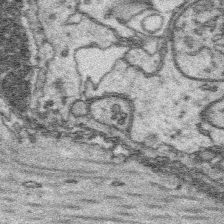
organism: Platynereis dumerilii